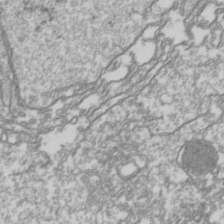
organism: Drosophila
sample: Cell division; meiosis; drosophila spermatocytes